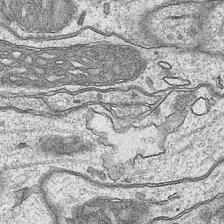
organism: Mouse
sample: CA1 Hippocampus